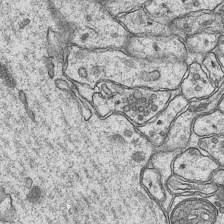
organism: Mouse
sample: CA1 Hippocampus